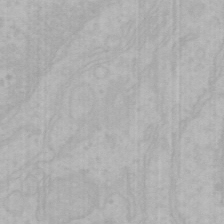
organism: Mouse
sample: Choroid plexus